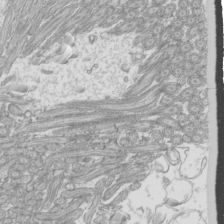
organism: Mouse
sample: Cilia; mouse epididymis